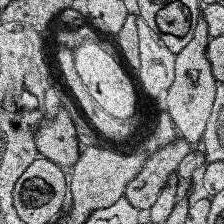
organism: Human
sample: Temporal Lobe